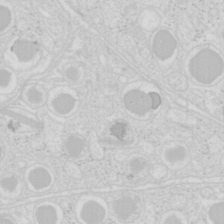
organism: Mouse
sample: Pancreas